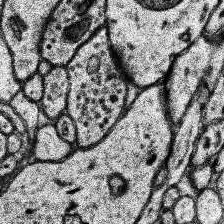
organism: Human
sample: Temporal Lobe